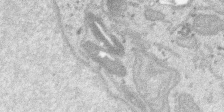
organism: Human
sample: Lung epithelial cells infected with SARS-CoV-2